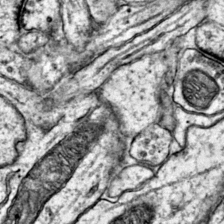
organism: Mouse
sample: Primary visual cortex